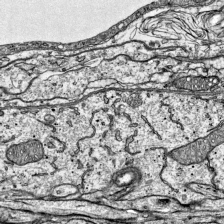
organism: Mouse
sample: Visual Cortex